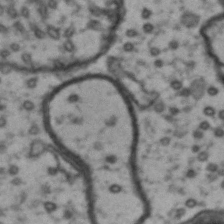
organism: Drosophila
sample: Brain